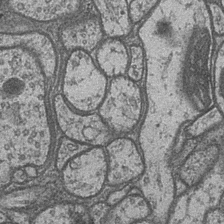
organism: Drosophila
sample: Optic medulla